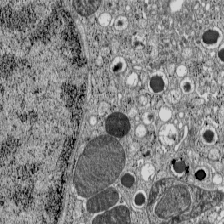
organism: C57BL Mouse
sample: Pancreatic islet